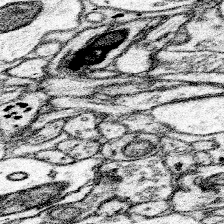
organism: Mouse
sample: Somatosensory cortex neuropil